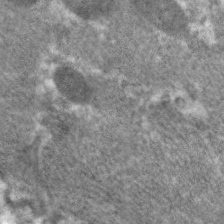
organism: C. elegans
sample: Pharynx